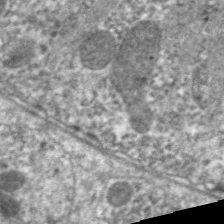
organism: C. elegans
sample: Pharynx